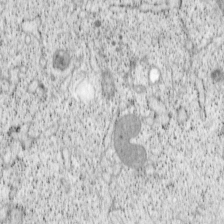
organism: African green monkey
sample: COS-7 cells